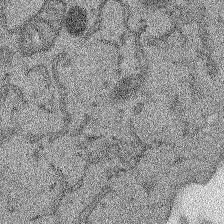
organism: Human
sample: HeLa cells